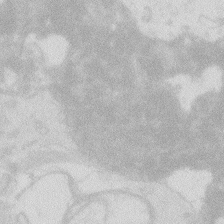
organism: Zebrafish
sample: Macrophage